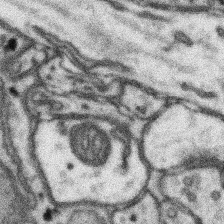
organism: Mouse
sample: Somatosensory cortex neuropil